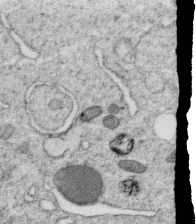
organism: C. elegans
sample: C. elegans oocyte; sperm cells